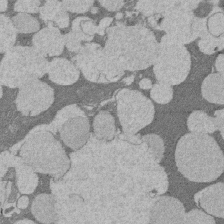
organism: Rat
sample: Salivary granule